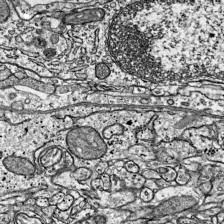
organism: Mouse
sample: Visual Cortex